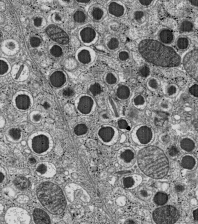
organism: C57BL Mouse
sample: Pancreatic islet